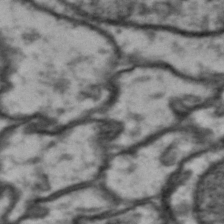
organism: Drosophila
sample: Brain